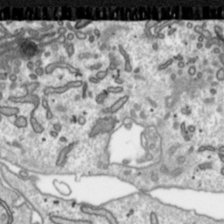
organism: Toxoplasma gondii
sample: Parasites in a vacuole inside a host cell